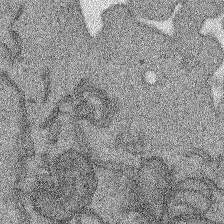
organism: Human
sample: HeLa cells